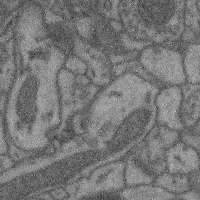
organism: Mouse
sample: Cerebral cortex